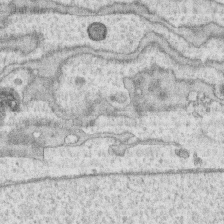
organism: Human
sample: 1205lu cells